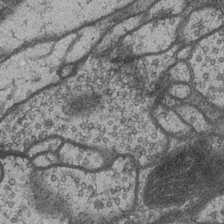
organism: Drosophila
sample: Optic medulla